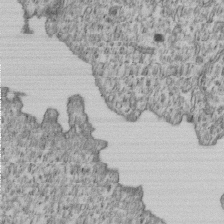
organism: Human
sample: MDA-MB-231 cells